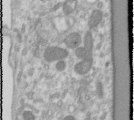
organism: Human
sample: Cilia; basal body in RPE cells